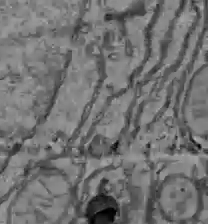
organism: C57BL Mouse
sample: Liver